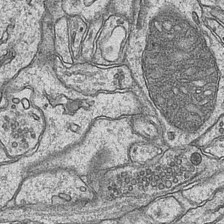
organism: Mouse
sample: CA1 Hippocampus